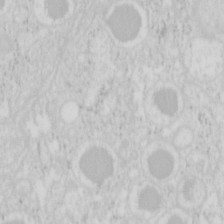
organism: Mouse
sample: Pancreas